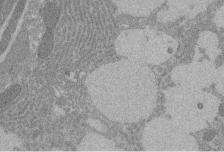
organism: Rat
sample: Salivary granule